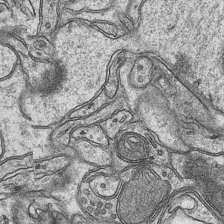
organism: Mouse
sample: CA1 Hippocampus